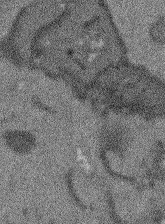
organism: Arabidopsis thaliana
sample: Root tip